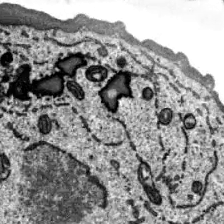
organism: Human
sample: HeLa cells